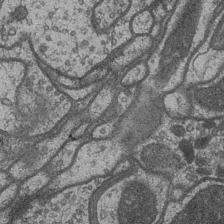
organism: Drosophila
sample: Optic medulla